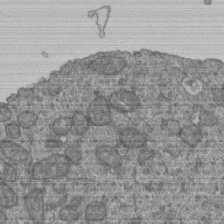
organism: Human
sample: Retinal organoid Rod and Cone cells